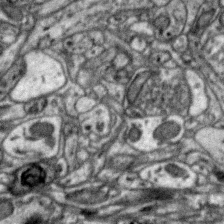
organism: Zebra finch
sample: Brain